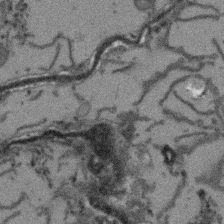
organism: Arabidopsis thaliana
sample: Root tip